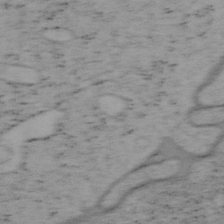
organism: Mouse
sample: OT-I killer T cells with ID8 ovarian cancer cells